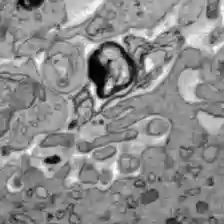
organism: C57BL Mouse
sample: Liver